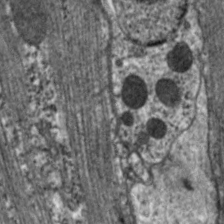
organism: C. elegans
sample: Pharynx